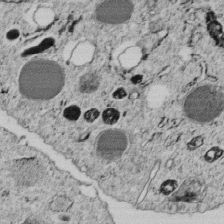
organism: C. elegans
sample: C. elegans embryo early stage